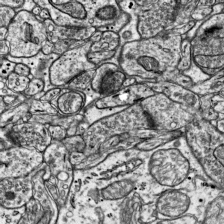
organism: Mouse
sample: Visual Cortex